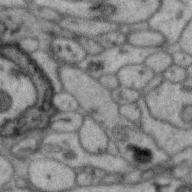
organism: Zebra finch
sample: Brain